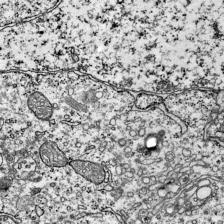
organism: Mouse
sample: Visual Cortex